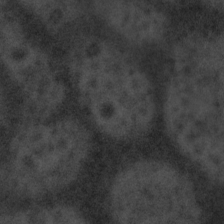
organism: Tuwongella immobilis